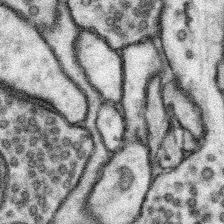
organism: Mouse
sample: Somatosensory cortex neuropil